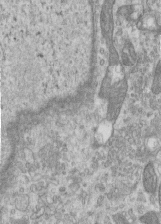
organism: Human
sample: Centriole in RPE cells